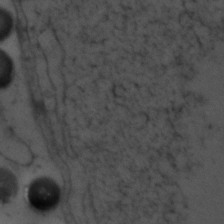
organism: Zebrafish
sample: Zebrafish embryo